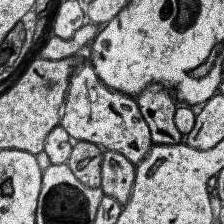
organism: Human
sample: Temporal Lobe